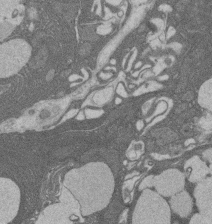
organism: Rat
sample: Salivary granule